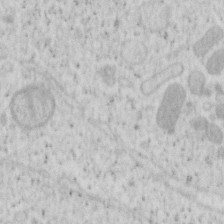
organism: Human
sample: HeLa cells